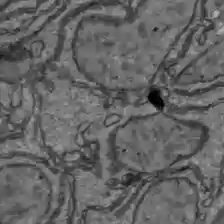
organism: C57BL Mouse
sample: Liver